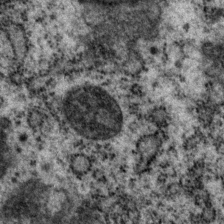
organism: P. pacificus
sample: Pharynx